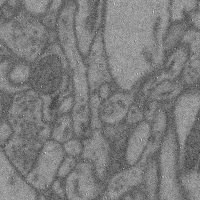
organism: Mouse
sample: Cerebral cortex